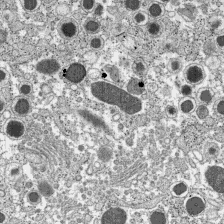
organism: C57BL Mouse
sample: Pancreatic islet